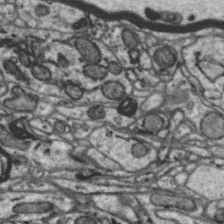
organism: Zebra finch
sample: Brain